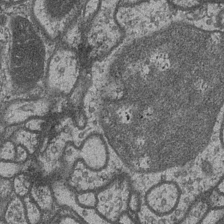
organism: Drosophila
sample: Optic medulla